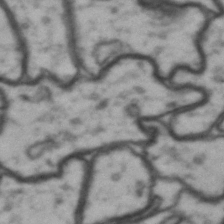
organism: Drosophila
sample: Brain